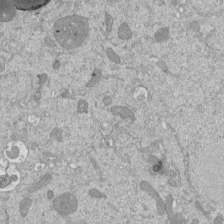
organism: Mouse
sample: ED-1 cell nuclei; centrioles